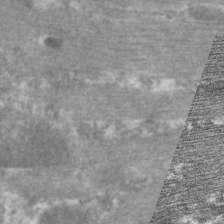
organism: C. elegans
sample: Pharynx